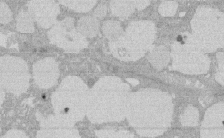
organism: Rat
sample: Salivary granule